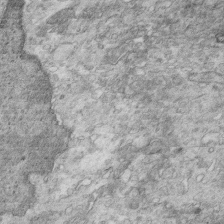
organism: Mouse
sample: Multiciliated cells